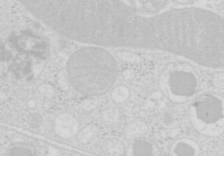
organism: Mouse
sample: Pancreas